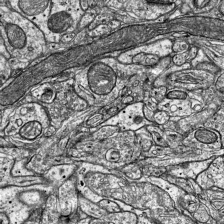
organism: Mouse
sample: Visual Cortex